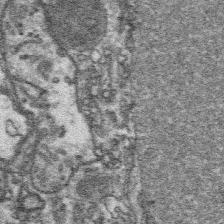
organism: Platynereis dumerilii